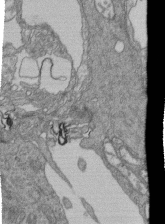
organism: Human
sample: Retinal organoid Rod and Cone cells